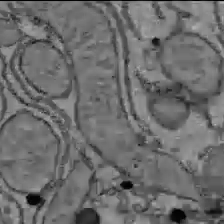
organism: C57BL Mouse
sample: Liver